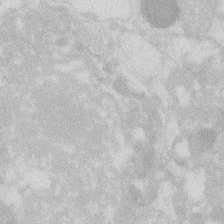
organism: Zebrafish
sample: Macrophage